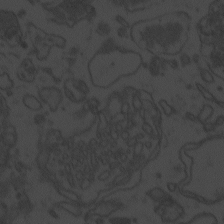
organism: Zebrafish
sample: Macrophage infected with Toxoplasma gondii